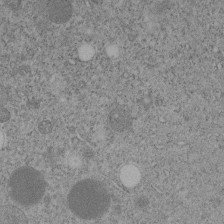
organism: C. elegans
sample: C. elegans embryo early stage